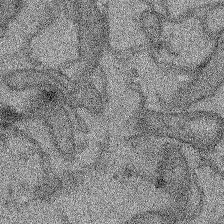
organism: Human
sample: HeLa cells